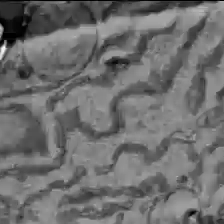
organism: C57BL Mouse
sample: Liver